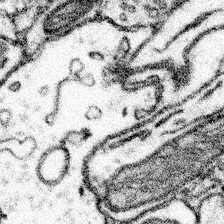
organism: Mouse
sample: Somatosensory cortex neuropil